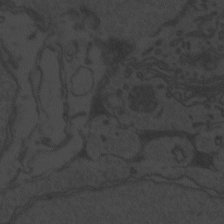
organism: Zebrafish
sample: Macrophage infected with Toxoplasma gondii